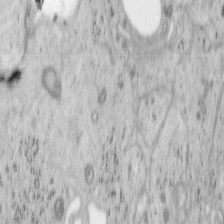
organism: Human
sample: HeLa cells